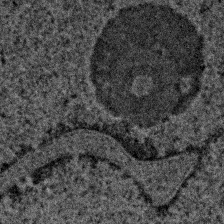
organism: Human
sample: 1205lu cells